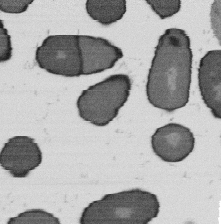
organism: B. subtilis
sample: Bacterial spore